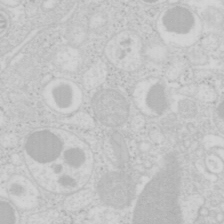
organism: Mouse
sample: Pancreas